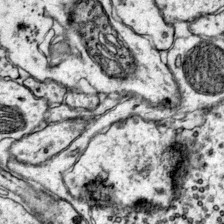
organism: Mouse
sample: Primary visual cortex